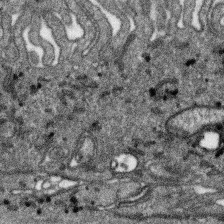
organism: Human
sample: Lung epithelial cells infected with SARS-CoV-2